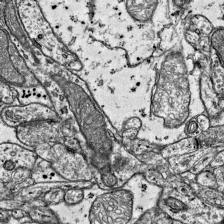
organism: Mouse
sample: Visual Cortex